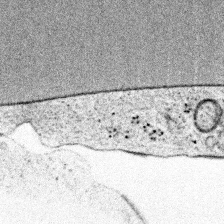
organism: Human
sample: HeLa cells